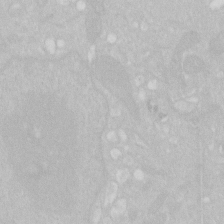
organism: Human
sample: HIV infected U937 cells